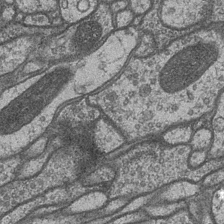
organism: Drosophila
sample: Optic medulla